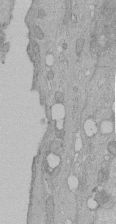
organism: Human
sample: Melanocyte Keratinocyte synapse skin construct